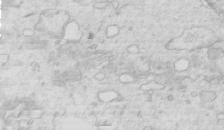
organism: Mouse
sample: Multiciliated cells